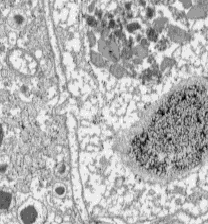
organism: C57BL Mouse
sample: Pancreatic islet